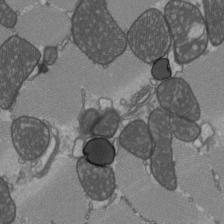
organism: C57BL Mouse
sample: Heart